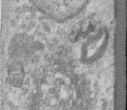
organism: Human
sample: Centriole in RPE cells